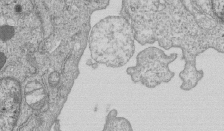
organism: Human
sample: MDA-MB-231 cells